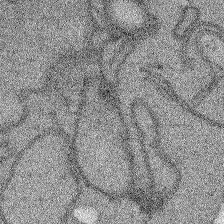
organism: Human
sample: HeLa cells